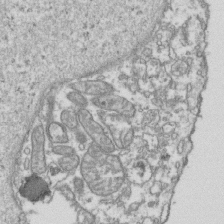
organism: Human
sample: Activated Jurkat CD4+ T cells